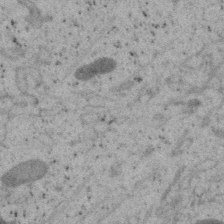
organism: Human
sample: HeLa cells